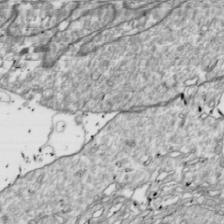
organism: Drosophila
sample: Cell division; meiosis; drosophila spermatocytes